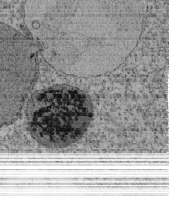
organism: Tetrahymena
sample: Cilia in tetrahymena